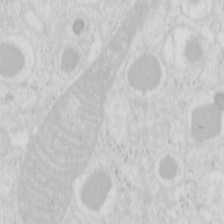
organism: Mouse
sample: Pancreas